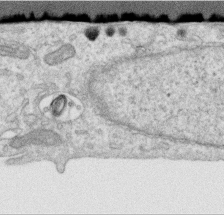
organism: Human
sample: Centriole in RPE cells